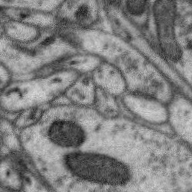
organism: Zebra finch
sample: Brain